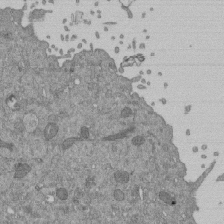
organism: Mouse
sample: ED-1 cell nuclei; centrioles